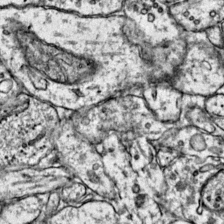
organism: Mouse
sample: Primary visual cortex